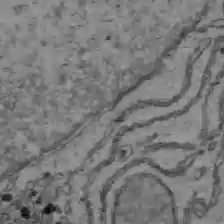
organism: C57BL Mouse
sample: Liver